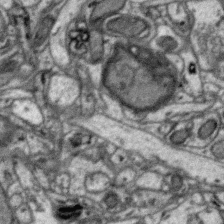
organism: Zebra finch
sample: Brain